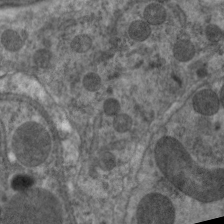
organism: C. elegans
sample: Pharynx